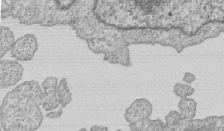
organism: Human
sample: MDA-MB-231 cells